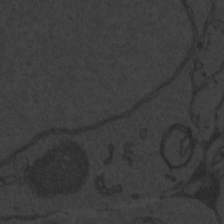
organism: Zebrafish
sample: Macrophage infected with Toxoplasma gondii